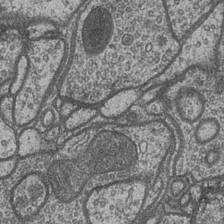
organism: Drosophila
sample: Optic medulla